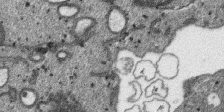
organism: Human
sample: Lung epithelial cells infected with SARS-CoV-2